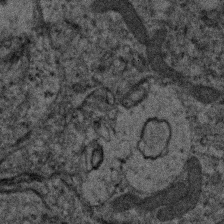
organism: Human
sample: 1205lu cells